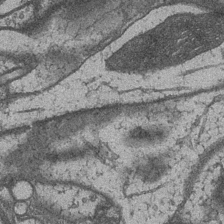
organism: Drosophila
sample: Optic medulla